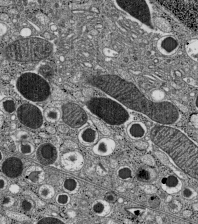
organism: C57BL Mouse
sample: Pancreatic islet